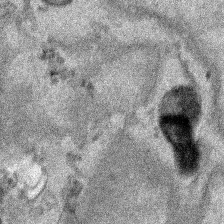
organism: Human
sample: Mitochondria in HCT116 cells